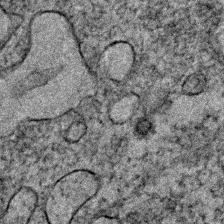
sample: Trachea